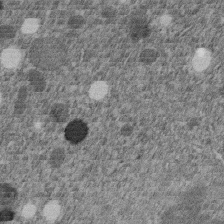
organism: C. elegans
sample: C. elegans embryo early stage